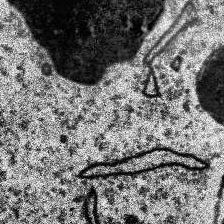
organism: Human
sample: Temporal Lobe